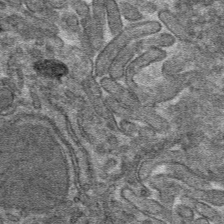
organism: Mouse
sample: Mouse hepatocytes